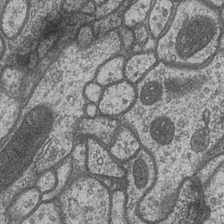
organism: Drosophila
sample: Optic medulla